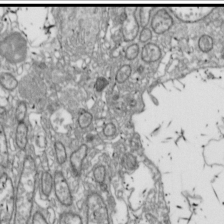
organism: Drosophila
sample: Cell division; meiosis; drosophila spermatocytes